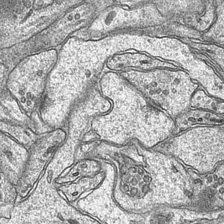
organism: Mouse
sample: CA1 Hippocampus